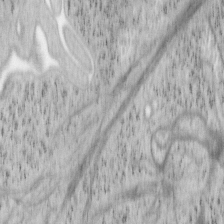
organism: Human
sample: HeLa cells